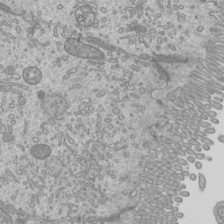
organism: Mouse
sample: Cilia; mouse epididymis